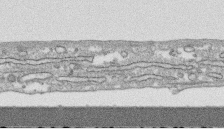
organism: Human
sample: CRL-1474